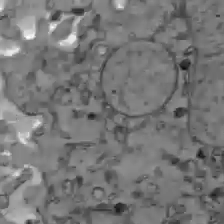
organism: C57BL Mouse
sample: Liver